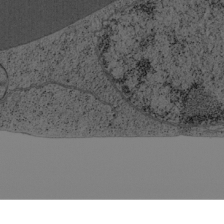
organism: African green monkey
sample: COS-7 cells